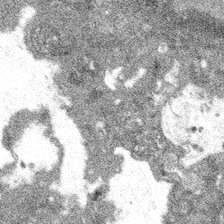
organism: Spongilla lacustris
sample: Multiple